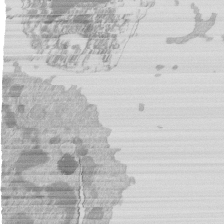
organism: Mouse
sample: Activated Pmel transgenic CD8+ T Cells